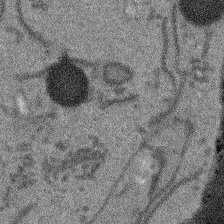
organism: Arabidopsis thaliana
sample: Root tip